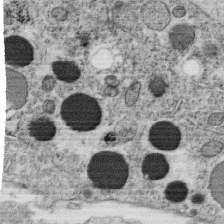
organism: C. elegans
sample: C. elegans oocyte; sperm cells